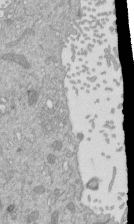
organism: Mouse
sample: ED-1 cell nuclei; centrioles